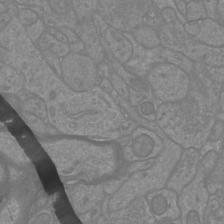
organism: Mouse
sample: Cortical neurons